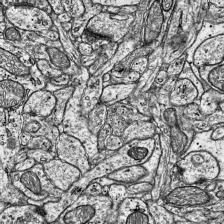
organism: Mouse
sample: Visual Cortex